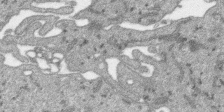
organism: Human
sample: Lung epithelial cells infected with SARS-CoV-2